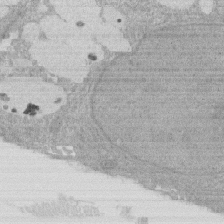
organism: Rat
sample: Salivary granule